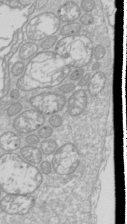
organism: Drosophila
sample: Cell division; meiosis; drosophila spermatocytes